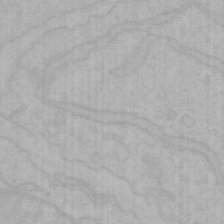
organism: Mouse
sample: Choroid plexus